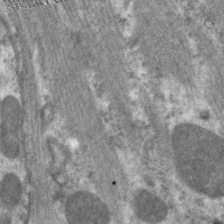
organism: C. elegans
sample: Pharynx